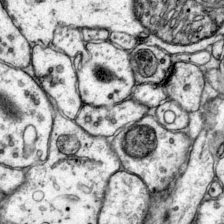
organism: Mouse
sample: Primary visual cortex